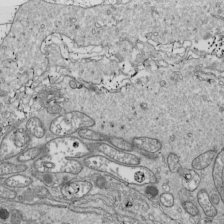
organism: Drosophila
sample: Cell division; meiosis; drosophila spermatocytes